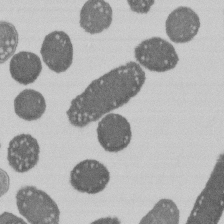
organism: E. coli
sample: Bacterial nucleoid